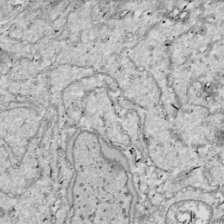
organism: Drosophila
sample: Cell division; meiosis; drosophila spermatocytes